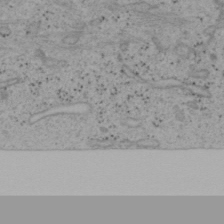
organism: Human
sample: HeLa cells